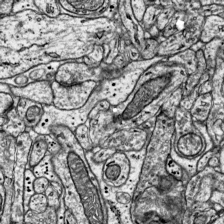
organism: Mouse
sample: Visual Cortex